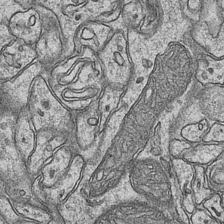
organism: Mouse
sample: CA1 Hippocampus